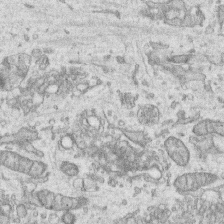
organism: Human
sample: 1205lu cells